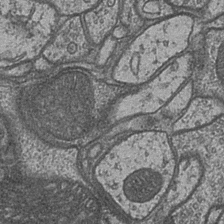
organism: Drosophila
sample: Optic medulla